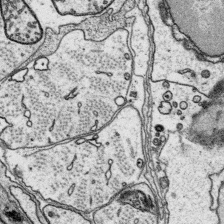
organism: Platynereis dumerilii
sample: Parapodia